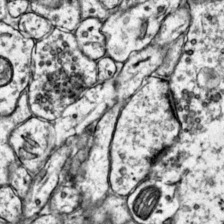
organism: Mouse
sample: Primary visual cortex